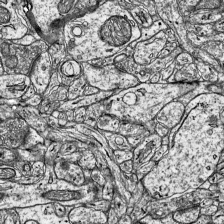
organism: Mouse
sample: Visual Cortex